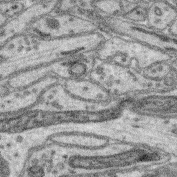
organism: Mouse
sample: Retina